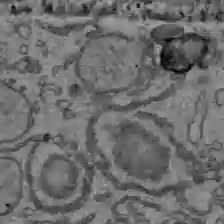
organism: C57BL Mouse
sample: Liver